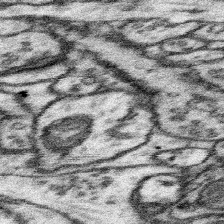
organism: Mouse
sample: Somatosensory cortex neuropil